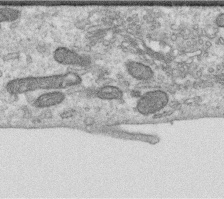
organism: Human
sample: Centriole in RPE cells